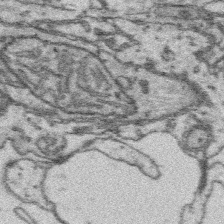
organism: Platynereis dumerilii